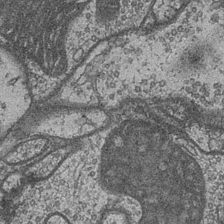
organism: Drosophila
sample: Optic medulla